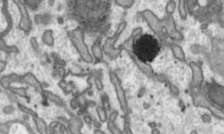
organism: Toxoplasma gondii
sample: Parasites in a vacuole inside a host cell